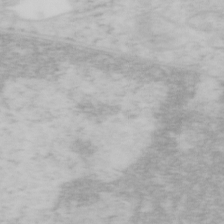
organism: Mouse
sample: OT-I killer T cells with ID8 ovarian cancer cells